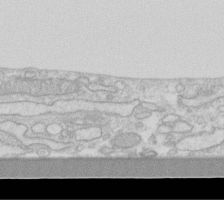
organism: Human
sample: Fibroblast cells